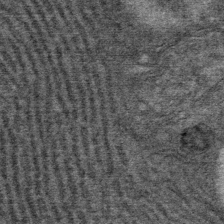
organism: Mouse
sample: Mouse Salivary gland